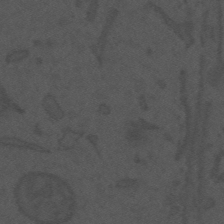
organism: Mouse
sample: Suprachiasmatic nucleus